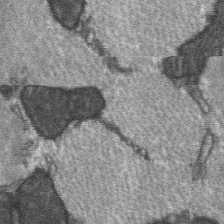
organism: C57BL Mouse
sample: Soleus